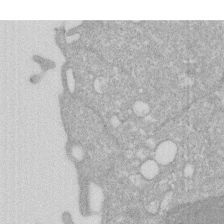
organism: Human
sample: HIV infected U937 cells